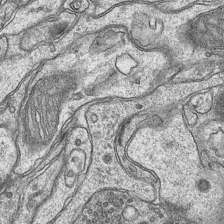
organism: Mouse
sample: CA1 Hippocampus